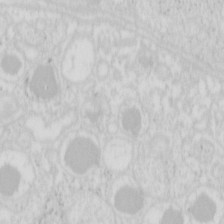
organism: Mouse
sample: Pancreas